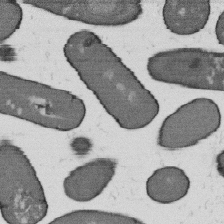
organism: B. subtilis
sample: Bacterial spore